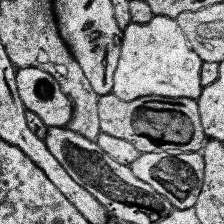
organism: Human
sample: Temporal Lobe